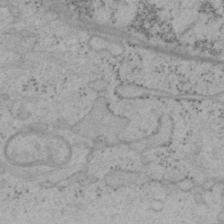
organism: Human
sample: HeLa cells